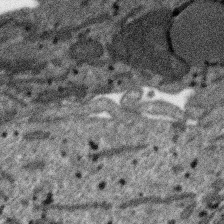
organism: Human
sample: Lung epithelial cells infected with SARS-CoV-2